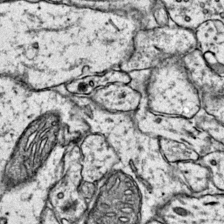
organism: Mouse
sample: Primary visual cortex